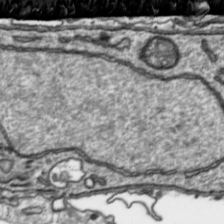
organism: Toxoplasma gondii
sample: Parasites in a vacuole inside a host cell